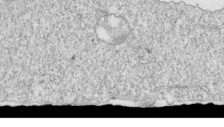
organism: Human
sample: HeLa cell HIV synapse